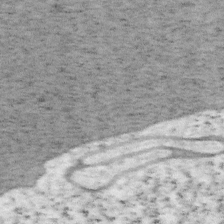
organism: Mouse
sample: OT-I killer T cells with ID8 ovarian cancer cells